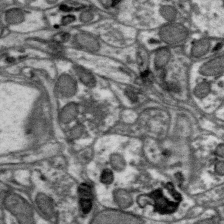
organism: Zebra finch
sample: Brain